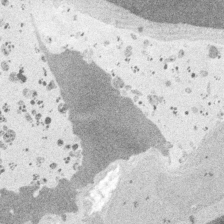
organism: Embia sp.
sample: Silk gland